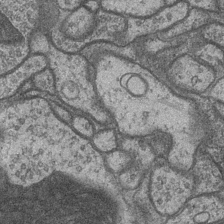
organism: Drosophila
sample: Optic medulla